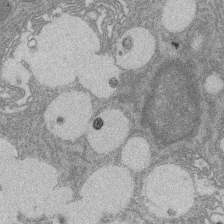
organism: Rat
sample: Salivary granule